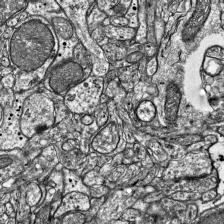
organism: Mouse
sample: Visual Cortex